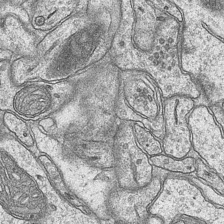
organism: Mouse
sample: CA1 Hippocampus